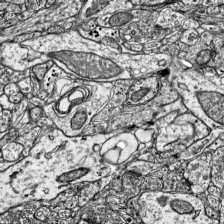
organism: Mouse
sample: Visual Cortex